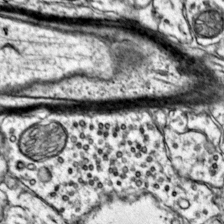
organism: Mouse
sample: Primary visual cortex